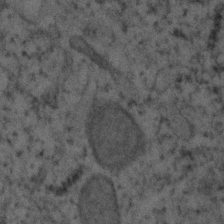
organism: Human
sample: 1205lu cells